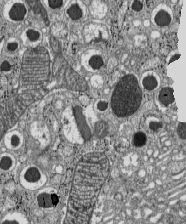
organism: C57BL Mouse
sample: Pancreatic islet